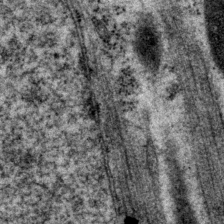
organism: P. pacificus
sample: Pharynx